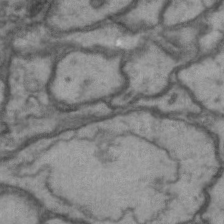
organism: Drosophila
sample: Brain